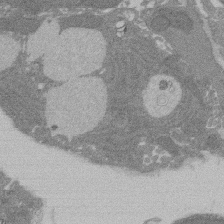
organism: Rat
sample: Salivary granule